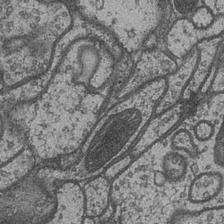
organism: Drosophila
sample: Optic medulla